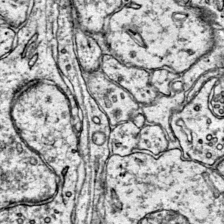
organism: Mouse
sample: Primary visual cortex